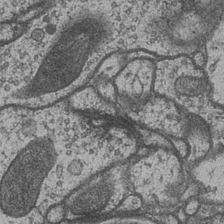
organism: Drosophila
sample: Optic medulla